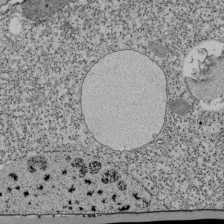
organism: Tetrahymena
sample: Cilia in tetrahymena